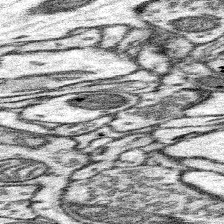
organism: Mouse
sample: Somatosensory cortex neuropil